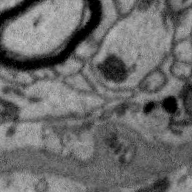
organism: Zebra finch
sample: Brain